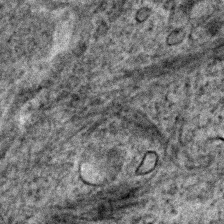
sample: Trachea